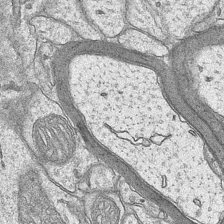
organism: Mouse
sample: CA1 Hippocampus